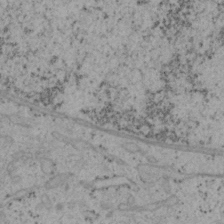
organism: Human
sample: HeLa cells